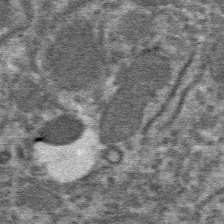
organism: Mouse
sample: Mouse hepatocytes